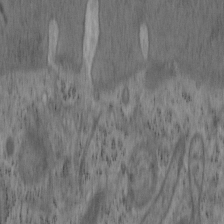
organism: Human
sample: HeLa cells